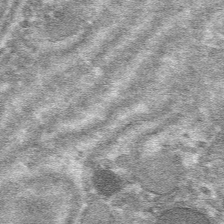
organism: Mouse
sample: Mouse hepatocytes